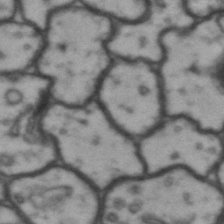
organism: Drosophila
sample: Brain